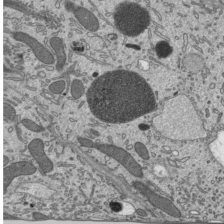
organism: Mouse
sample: Mouse epididymis efferent ductule cilia